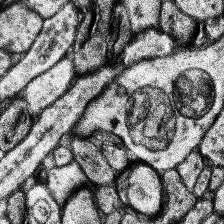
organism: Human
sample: Temporal Lobe